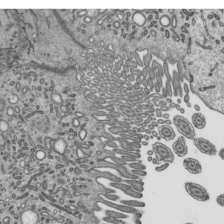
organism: Mouse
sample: Mouse epididymis efferent ductule cilia